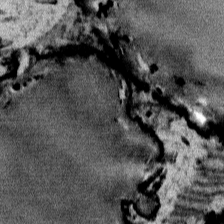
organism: Mouse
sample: Mouse Salivary gland